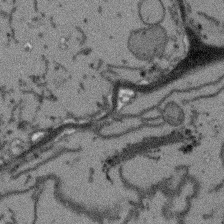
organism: Arabidopsis thaliana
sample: Root tip